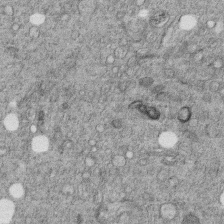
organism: C. elegans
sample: C. elegans embryo early stage